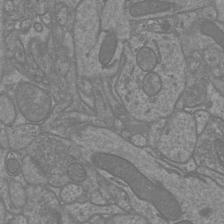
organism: Mouse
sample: Cortical neurons